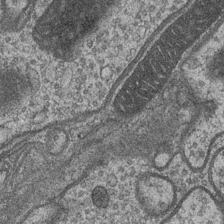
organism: Drosophila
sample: Optic medulla